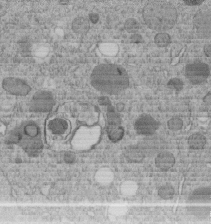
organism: C. elegans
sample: C. elegans embryo early stage